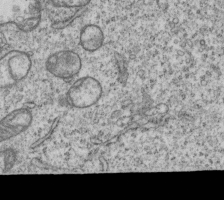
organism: Human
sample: MDA-MB-231 cells